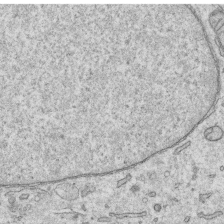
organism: Human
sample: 1205lu cells